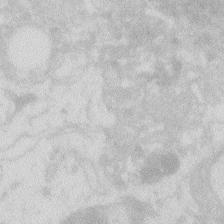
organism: Zebrafish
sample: Macrophage